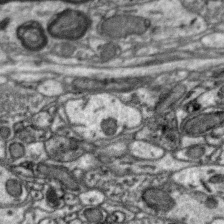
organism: Zebra finch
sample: Brain